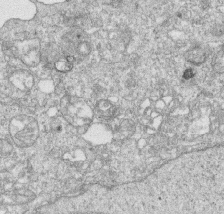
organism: Human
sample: HeLa cell HIV synapse